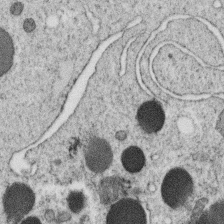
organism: C. elegans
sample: C. elegans oocyte; sperm cells